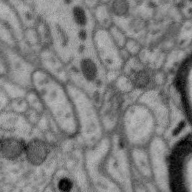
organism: Zebra finch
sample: Brain